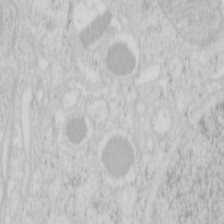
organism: Mouse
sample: Pancreas